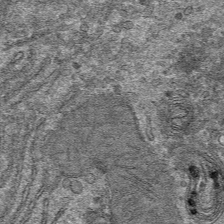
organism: Mouse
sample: Mouse hepatocytes